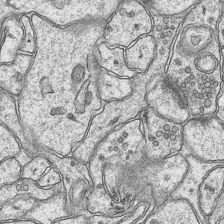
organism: Mouse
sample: CA1 Hippocampus